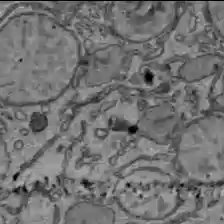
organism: C57BL Mouse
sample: Liver